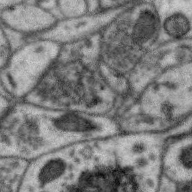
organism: Zebra finch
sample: Brain